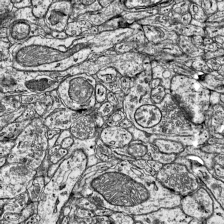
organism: Mouse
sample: Visual Cortex